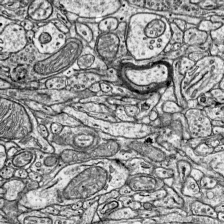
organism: Mouse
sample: Visual Cortex